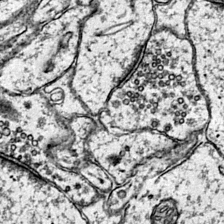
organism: Mouse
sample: Primary visual cortex